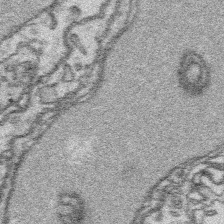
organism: Platynereis dumerilii